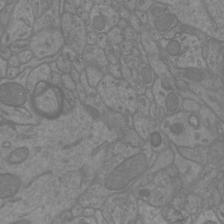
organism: Mouse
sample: Cortical neurons